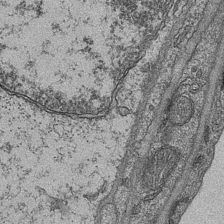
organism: Mouse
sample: CA1 Hippocampus